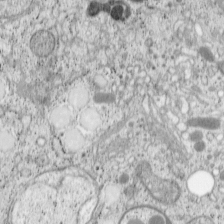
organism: African green monkey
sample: COS-7 cells